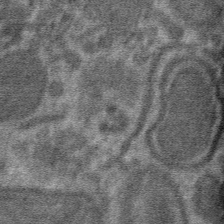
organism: Mouse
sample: Mouse hepatocytes